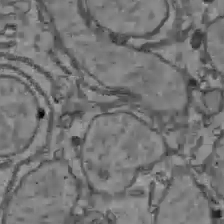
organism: C57BL Mouse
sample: Liver